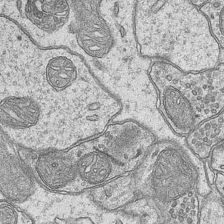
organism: Mouse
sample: CA1 Hippocampus